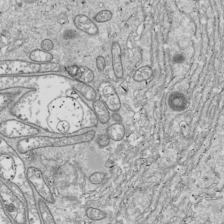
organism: Drosophila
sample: Cell division; meiosis; drosophila spermatocytes